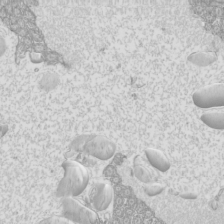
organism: Mouse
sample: Cilia; mouse epididymis